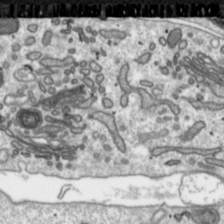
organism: Toxoplasma gondii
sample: Parasites in a vacuole inside a host cell